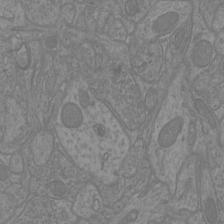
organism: Mouse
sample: Cortical neurons